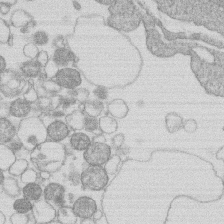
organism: Human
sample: Macrophage cells